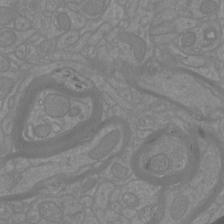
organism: Mouse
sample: Cortical neurons